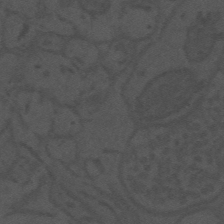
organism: Mouse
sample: Suprachiasmatic nucleus